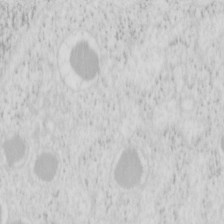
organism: Mouse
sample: Pancreas